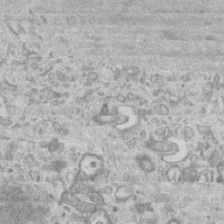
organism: Mouse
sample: Centriole in ependymal cells